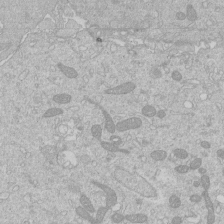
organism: Human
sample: Macrophage cells